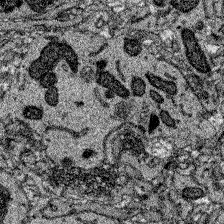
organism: Zebrafish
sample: Larval olfactory bulb